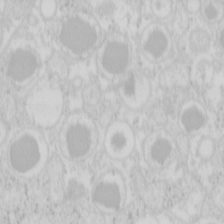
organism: Mouse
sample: Pancreas